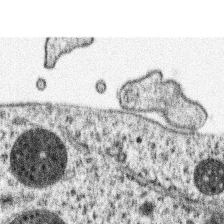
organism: Human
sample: HeLa cells